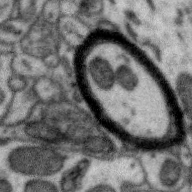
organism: Zebra finch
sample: Brain